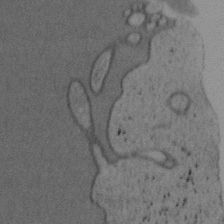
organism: Human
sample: HeLa cells